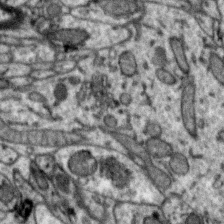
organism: Zebra finch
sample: Brain